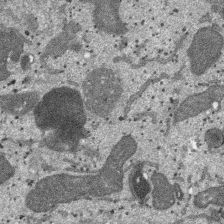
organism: Human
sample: Lung epithelial cells infected with SARS-CoV-2